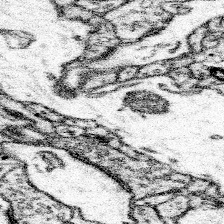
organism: Mouse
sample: Somatosensory cortex neuropil